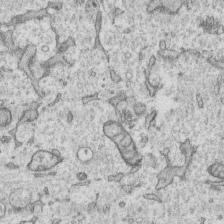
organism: Human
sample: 1205lu cells